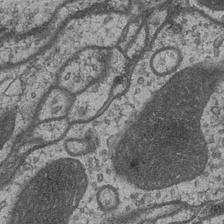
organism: Drosophila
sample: Optic medulla